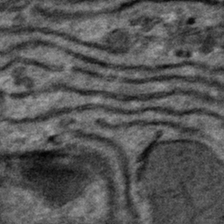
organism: Mouse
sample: Mouse hepatocytes